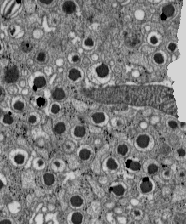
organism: C57BL Mouse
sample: Pancreatic islet